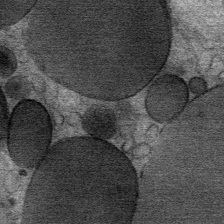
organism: Mouse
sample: Mouse Salivary gland